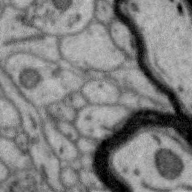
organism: Zebra finch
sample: Brain